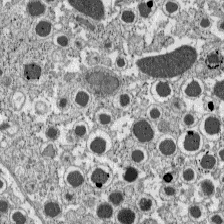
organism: C57BL Mouse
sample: Pancreatic islet